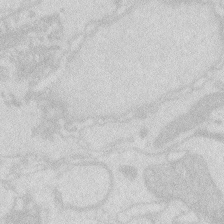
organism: Zebrafish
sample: Macrophage